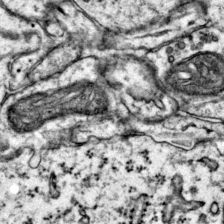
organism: Mouse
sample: Primary visual cortex